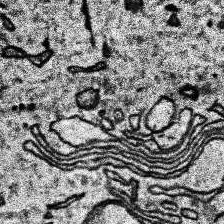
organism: Human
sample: Temporal Lobe